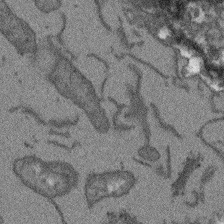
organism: Arabidopsis thaliana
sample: Root tip